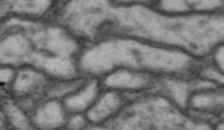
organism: Drosophila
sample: Brain